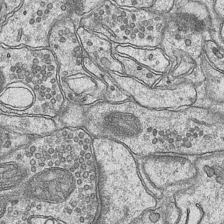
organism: Mouse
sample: CA1 Hippocampus